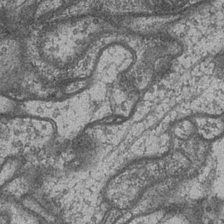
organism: Drosophila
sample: Optic medulla